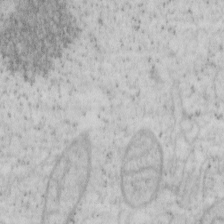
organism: Human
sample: HeLa cells